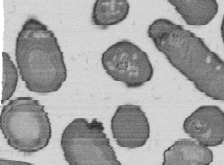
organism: B. subtilis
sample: Bacterial spore